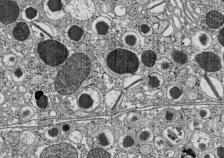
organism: C57BL Mouse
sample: Pancreatic islet